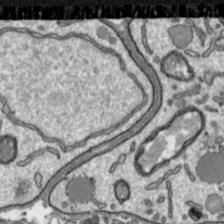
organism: Toxoplasma gondii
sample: Parasites in a vacuole inside a host cell